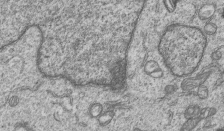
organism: Human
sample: MDA-MB-231 cells